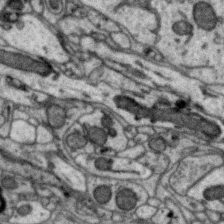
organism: Zebra finch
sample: Brain